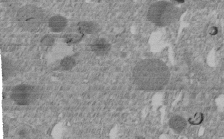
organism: C. elegans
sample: C. elegans embryo early stage